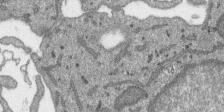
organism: Human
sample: Lung epithelial cells infected with SARS-CoV-2